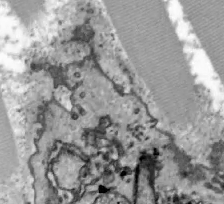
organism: Zebrafish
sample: Actinotrichia fibers